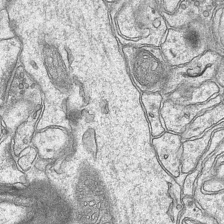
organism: Mouse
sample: CA1 Hippocampus